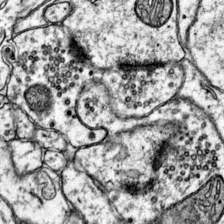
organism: Mouse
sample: Primary visual cortex